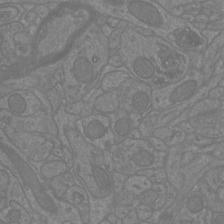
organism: Mouse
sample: Cortical neurons